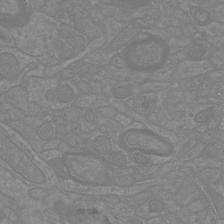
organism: Mouse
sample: Cortical neurons